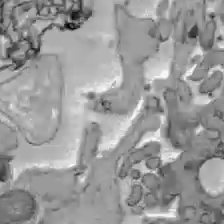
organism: C57BL Mouse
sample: Liver